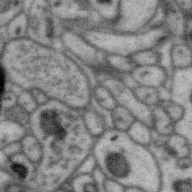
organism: Zebra finch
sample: Brain